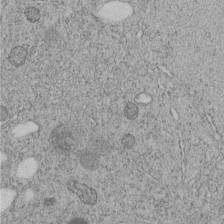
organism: C. elegans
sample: C. elegans embryo early stage